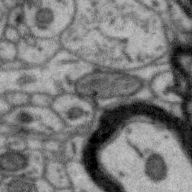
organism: Zebra finch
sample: Brain